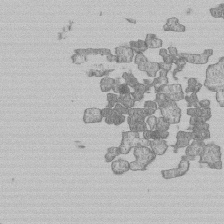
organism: Human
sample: MDA-MB-231 cells